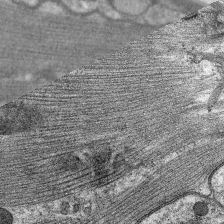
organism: C. elegans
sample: Pharynx